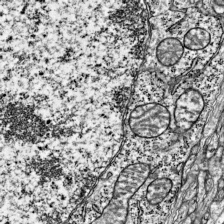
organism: Mouse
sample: Visual Cortex